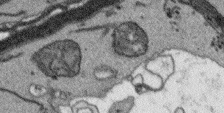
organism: Arabidopsis thaliana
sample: Root tip